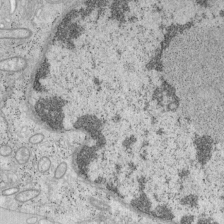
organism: Mouse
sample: OT-I killer T cells with ID8 ovarian cancer cells